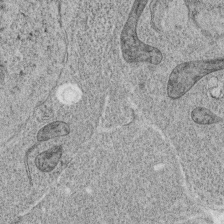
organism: C. elegans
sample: C. elegans oocyte; sperm cells